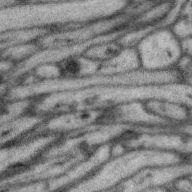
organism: Zebra finch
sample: Brain